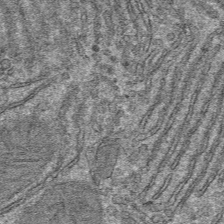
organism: Mouse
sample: Mouse hepatocytes